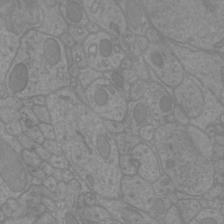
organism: Mouse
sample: Cortical neurons